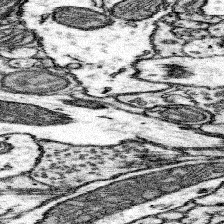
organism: Mouse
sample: Somatosensory cortex neuropil